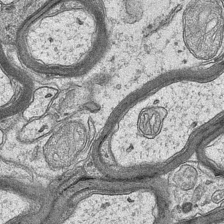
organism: Mouse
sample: CA1 Hippocampus